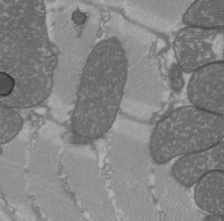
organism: C57BL Mouse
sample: Heart